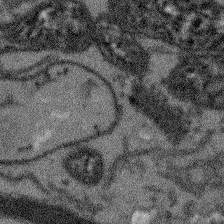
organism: Arabidopsis thaliana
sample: Root tip